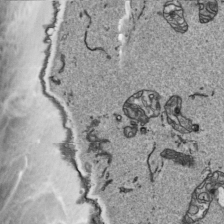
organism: Human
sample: Mitochondria in HCT116 cells